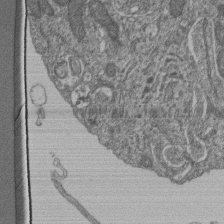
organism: Human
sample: Retinal organoid Rod and Cone cells